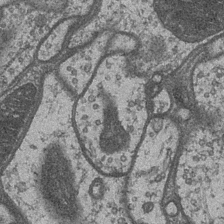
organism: Drosophila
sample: Optic medulla